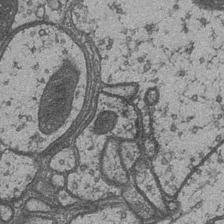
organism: Drosophila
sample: Optic medulla